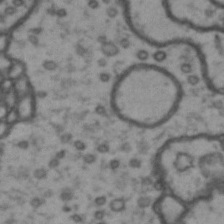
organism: Drosophila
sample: Brain